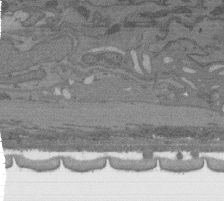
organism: C. elegans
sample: AFD neurons C. elegans